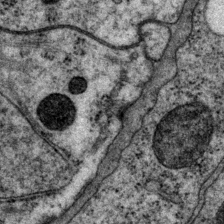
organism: P. pacificus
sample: Pharynx